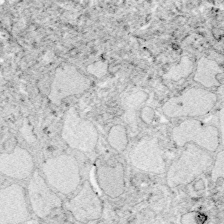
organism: Zebrafish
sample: Whole-Brain